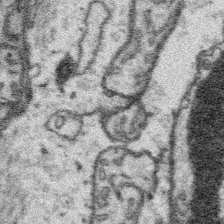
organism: Platynereis dumerilii